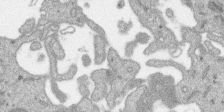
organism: Human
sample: Lung epithelial cells infected with SARS-CoV-2